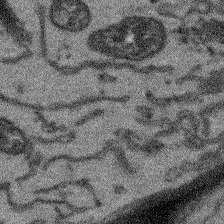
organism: Arabidopsis thaliana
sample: Root tip